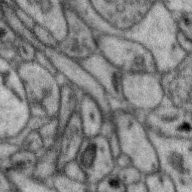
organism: Zebra finch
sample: Brain